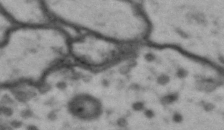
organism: Drosophila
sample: Brain